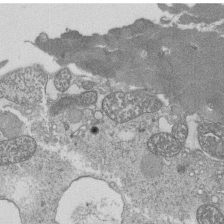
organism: Tetrahymena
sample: Cilia in tetrahymena